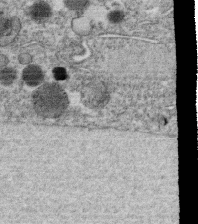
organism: C. elegans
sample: C. elegans oocyte; sperm cells